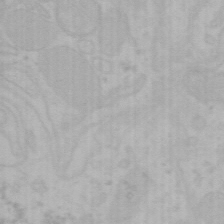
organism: Mouse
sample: Choroid plexus